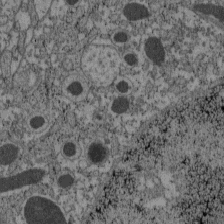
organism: C57BL Mouse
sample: Pancreatic islet